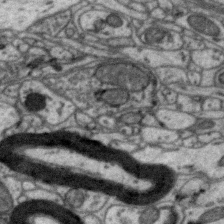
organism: Zebra finch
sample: Brain